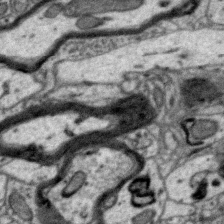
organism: Zebra finch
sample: Brain